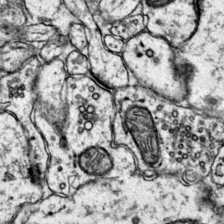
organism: Mouse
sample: Primary visual cortex